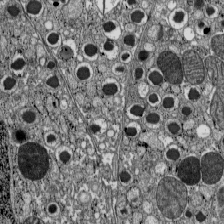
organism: C57BL Mouse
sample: Pancreatic islet